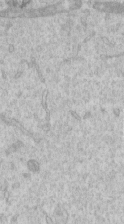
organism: Human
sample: Centriole in RPE cells